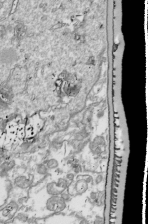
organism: Drosophila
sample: Cell division; meiosis; drosophila spermatocytes